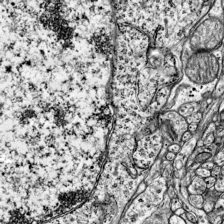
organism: Mouse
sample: Visual Cortex